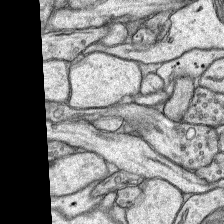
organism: Rat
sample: Hippocampus